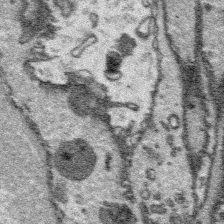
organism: Platynereis dumerilii